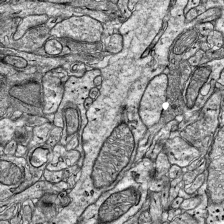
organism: Mouse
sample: Visual Cortex